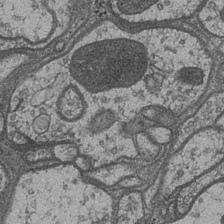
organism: Drosophila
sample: Optic medulla